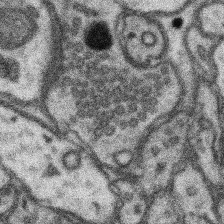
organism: Mouse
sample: Somatosensory cortex neuropil